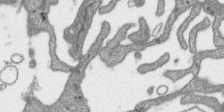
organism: Human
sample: Lung epithelial cells infected with SARS-CoV-2